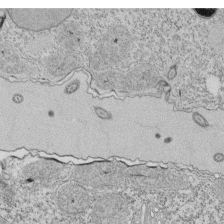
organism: Tetrahymena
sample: Cilia in tetrahymena